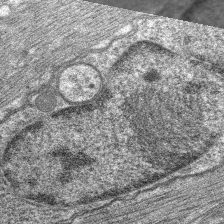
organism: C. elegans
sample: Pharynx